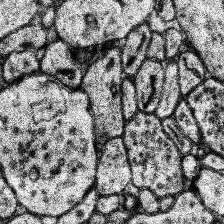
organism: Human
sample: Temporal Lobe